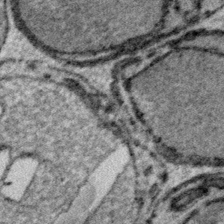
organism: Plasmodium falciparum